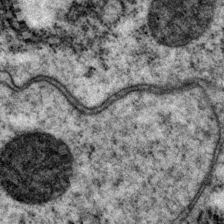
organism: P. pacificus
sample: Pharynx